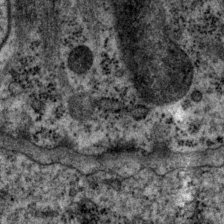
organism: P. pacificus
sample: Pharynx